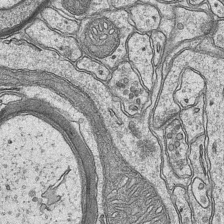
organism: Mouse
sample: CA1 Hippocampus